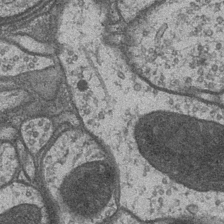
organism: Drosophila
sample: Optic medulla